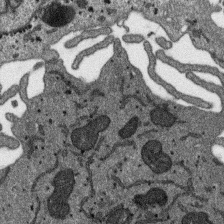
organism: Human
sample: Lung epithelial cells infected with SARS-CoV-2